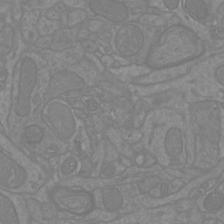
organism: Mouse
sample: Cortical neurons